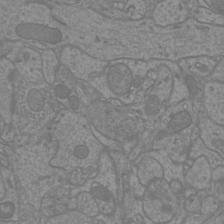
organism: Mouse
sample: Cortical neurons